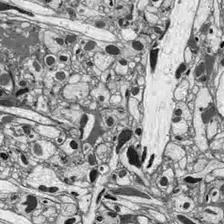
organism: Drosophila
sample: Optic lobe